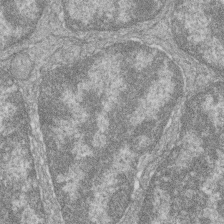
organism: Zebrafish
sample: Cilia; retinal pigment epithelium